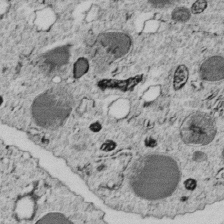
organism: C. elegans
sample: C. elegans embryo early stage